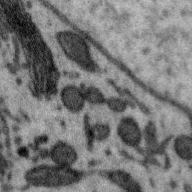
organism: Zebra finch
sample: Brain